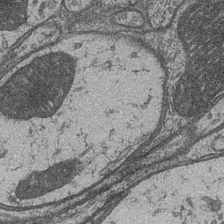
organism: Drosophila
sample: Optic medulla